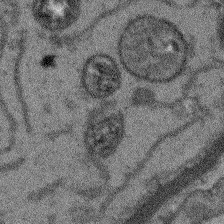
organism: Arabidopsis thaliana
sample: Root tip